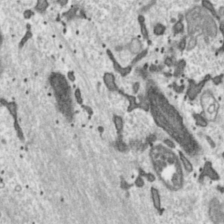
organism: Toxoplasma gondii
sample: Parasites in a vacuole inside a host cell